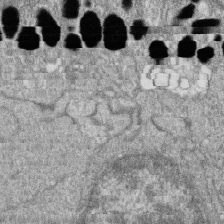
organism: Zebrafish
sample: Cilia; retinal pigment epithelium